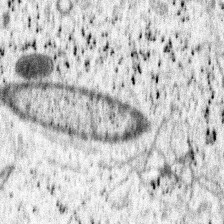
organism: Human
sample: HeLa cells